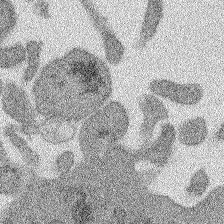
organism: Human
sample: HeLa cells